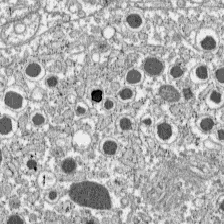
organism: C57BL Mouse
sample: Pancreatic islet